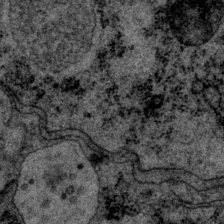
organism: P. pacificus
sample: Pharynx